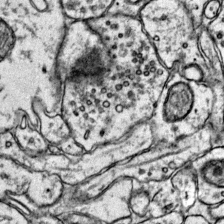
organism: Mouse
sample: Primary visual cortex